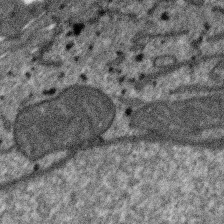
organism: Human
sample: Lung epithelial cells infected with SARS-CoV-2